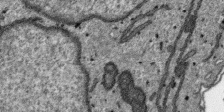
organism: Human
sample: Lung epithelial cells, uninfected (mock) control